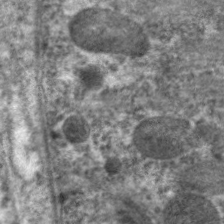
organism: C. elegans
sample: Pharynx